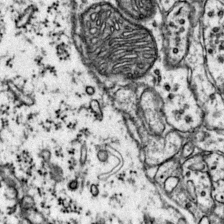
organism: Mouse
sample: Primary visual cortex